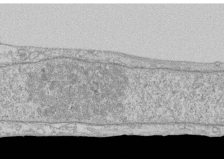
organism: Human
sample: CRL-1474